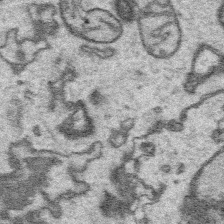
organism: Platynereis dumerilii